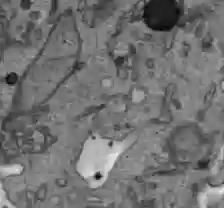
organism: C57BL Mouse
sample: Liver